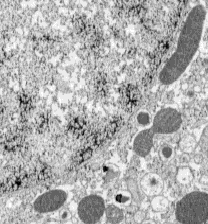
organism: C57BL Mouse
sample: Pancreatic islet